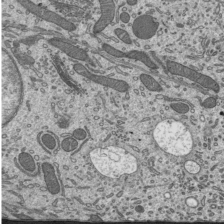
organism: Mouse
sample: Mouse epididymis efferent ductule cilia